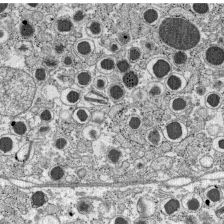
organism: C57BL Mouse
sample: Pancreatic islet